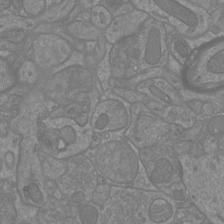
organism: Mouse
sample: Cortical neurons